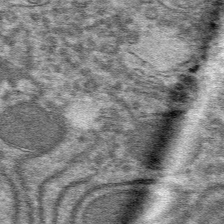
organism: Mouse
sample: Mouse hepatocytes